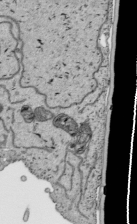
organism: Human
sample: Mitochondria in HCT116 cells